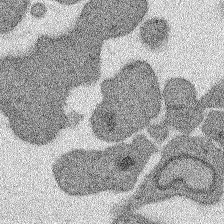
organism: Human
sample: HeLa cells